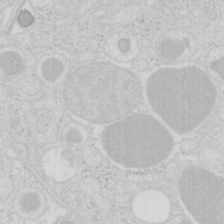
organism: Mouse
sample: Pancreas